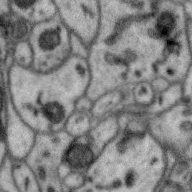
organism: Zebra finch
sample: Brain